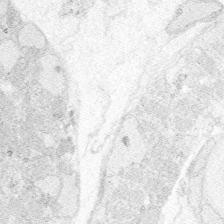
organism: Zebrafish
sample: Whole-Brain